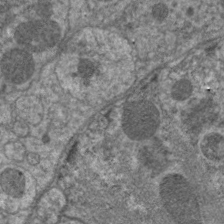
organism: C. elegans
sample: Pharynx